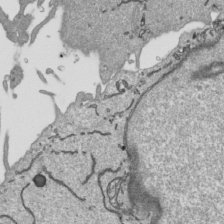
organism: Human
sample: Mitochondria in HCT116 cells